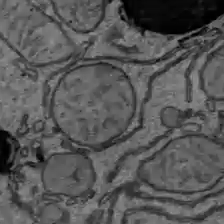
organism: C57BL Mouse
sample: Liver